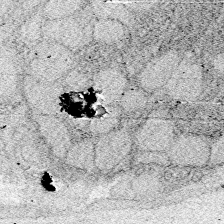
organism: Zebrafish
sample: Whole-Brain